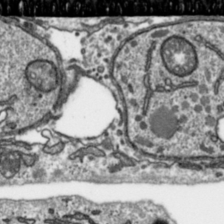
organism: Toxoplasma gondii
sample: Parasites in a vacuole inside a host cell